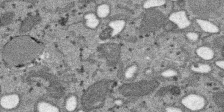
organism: Human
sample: Lung epithelial cells infected with SARS-CoV-2